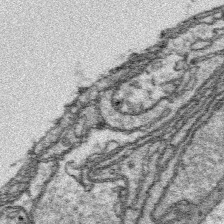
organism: Platynereis dumerilii